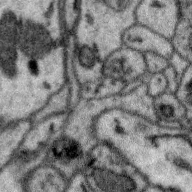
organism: Zebra finch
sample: Brain